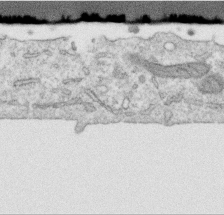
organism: Human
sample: Centriole in RPE cells